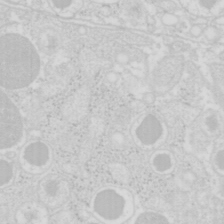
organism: Mouse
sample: Pancreas